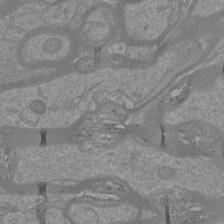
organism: Mouse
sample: Cortical neurons